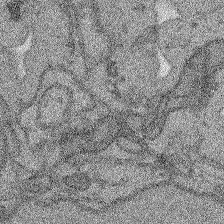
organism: Human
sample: HeLa cells